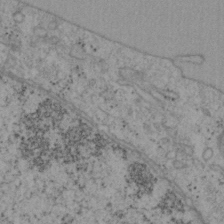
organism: Human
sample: HeLa cells